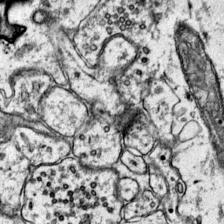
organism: Mouse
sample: Primary visual cortex